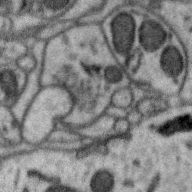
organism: Zebra finch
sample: Brain